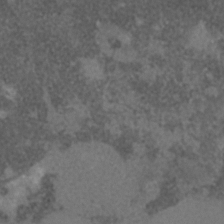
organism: C. elegans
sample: C. elegans embryo